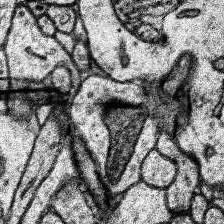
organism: Human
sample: Temporal Lobe